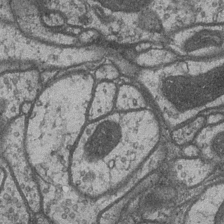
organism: Drosophila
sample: Optic medulla